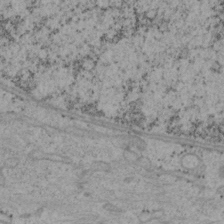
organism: Human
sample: HeLa cells